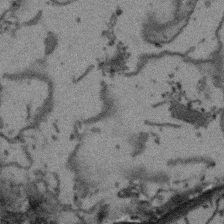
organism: Arabidopsis thaliana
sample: Root tip